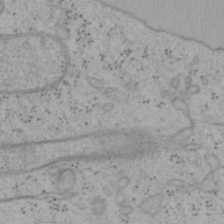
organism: Human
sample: HeLa cells